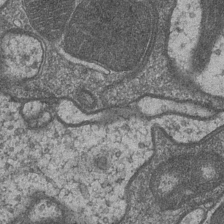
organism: Drosophila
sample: Optic medulla